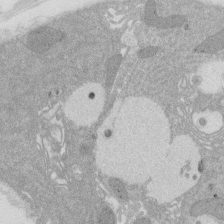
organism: Rat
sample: Salivary granule